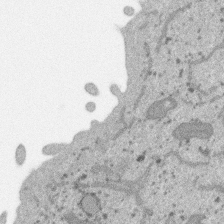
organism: Human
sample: Lung epithelial cells infected with SARS-CoV-2